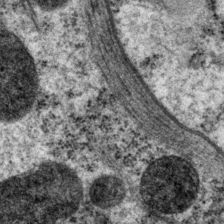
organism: P. pacificus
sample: Pharynx